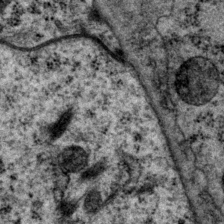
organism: P. pacificus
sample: Pharynx